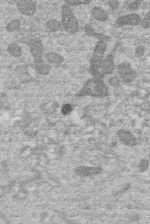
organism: Human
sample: Macrophage cells